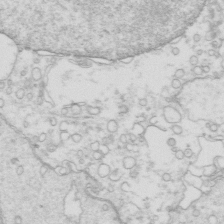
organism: Mouse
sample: Multiciliated cells